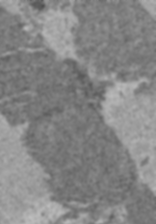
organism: C57BL Mouse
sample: Heart